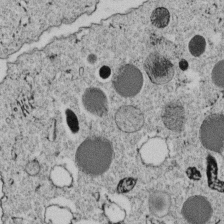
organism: C. elegans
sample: C. elegans embryo early stage